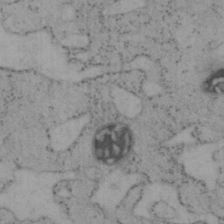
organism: Mouse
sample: OT-I killer T cells with ID8 ovarian cancer cells